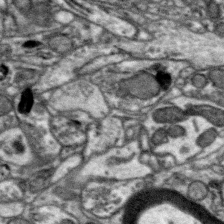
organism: Zebra finch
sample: Brain